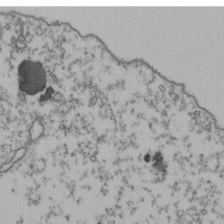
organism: Human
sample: Activated Jurkat CD4+ T cells